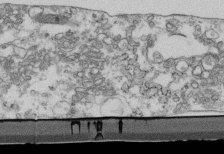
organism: Mouse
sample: Cilia; retinal pigment epithelium